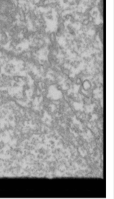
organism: Drosophila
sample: Cell division; meiosis; drosophila spermatocytes